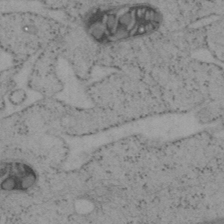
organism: Mouse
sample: OT-I killer T cells with ID8 ovarian cancer cells